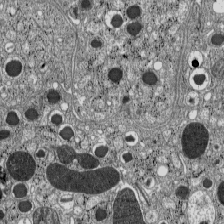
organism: C57BL Mouse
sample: Pancreatic islet